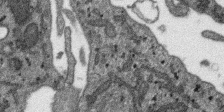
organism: Human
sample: Lung epithelial cells infected with SARS-CoV-2